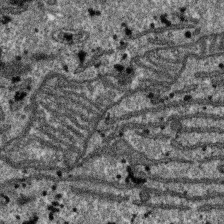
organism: Human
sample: Lung epithelial cells infected with SARS-CoV-2